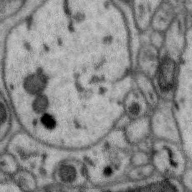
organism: Zebra finch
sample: Brain